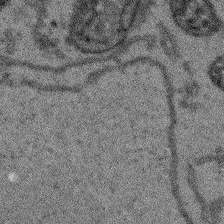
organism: Arabidopsis thaliana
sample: Root tip